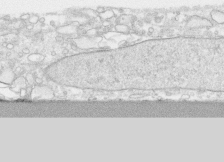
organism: Human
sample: CRL-1474